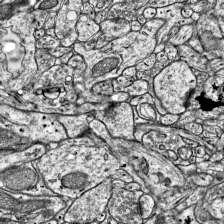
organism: Mouse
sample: Visual Cortex